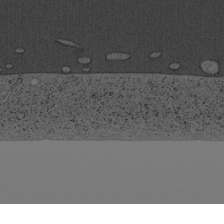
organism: African green monkey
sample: COS-7 cells